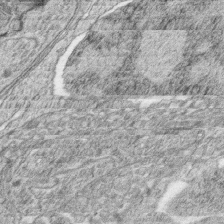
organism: Zebrafish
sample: synaptic ribbons in rod cells and cone cells